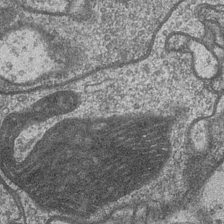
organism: Drosophila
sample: Optic medulla